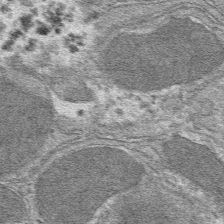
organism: Mouse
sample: Mouse hepatocytes